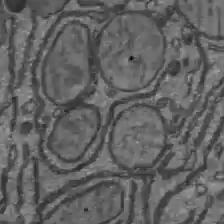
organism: C57BL Mouse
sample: Liver